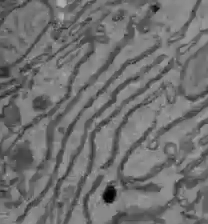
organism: C57BL Mouse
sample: Liver